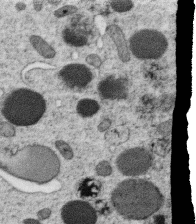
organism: C. elegans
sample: C. elegans oocyte; sperm cells